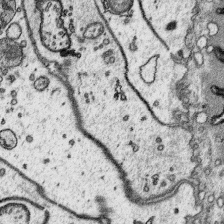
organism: Platynereis dumerilii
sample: Parapodia